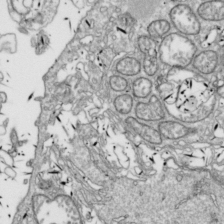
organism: Drosophila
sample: Cell division; meiosis; drosophila spermatocytes